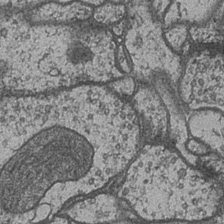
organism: Drosophila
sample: Optic medulla